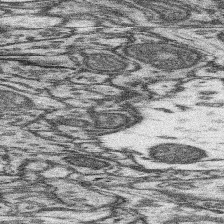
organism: Mouse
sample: Somatosensory cortex neuropil